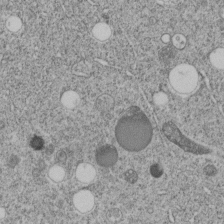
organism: C. elegans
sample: C. elegans embryo early stage